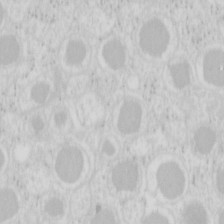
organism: Mouse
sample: Pancreas